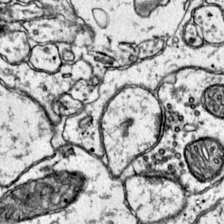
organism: Mouse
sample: Primary visual cortex